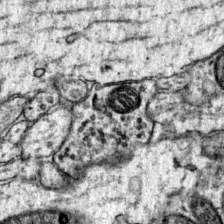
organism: Mouse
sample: Primary visual cortex